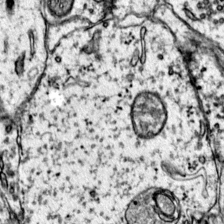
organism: Mouse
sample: Primary visual cortex